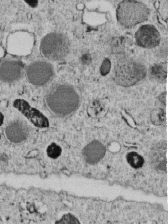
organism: C. elegans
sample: C. elegans embryo early stage